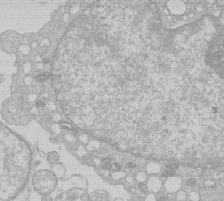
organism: Human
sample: Macrophage cells